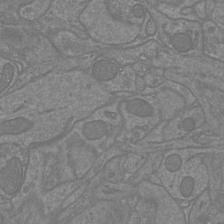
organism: Mouse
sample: Cortical neurons